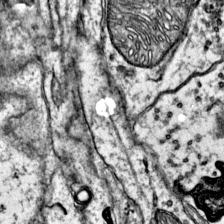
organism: Mouse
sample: Primary visual cortex